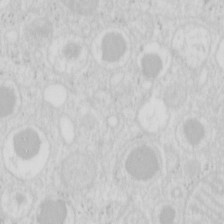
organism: Mouse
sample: Pancreas